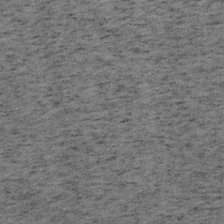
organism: Mouse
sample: OT-I killer T cells with ID8 ovarian cancer cells